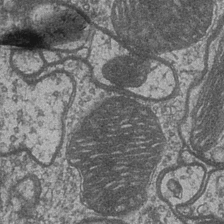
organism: Drosophila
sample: Optic medulla